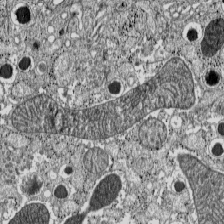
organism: C57BL Mouse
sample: Pancreatic islet